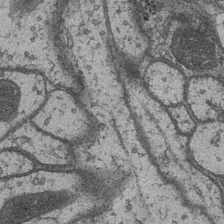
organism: Drosophila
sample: Optic medulla